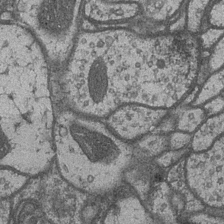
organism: Drosophila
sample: Optic medulla